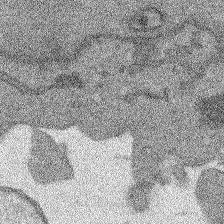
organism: Human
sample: HeLa cells